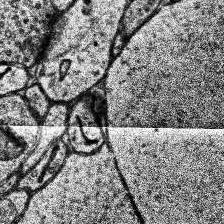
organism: Human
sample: Temporal Lobe